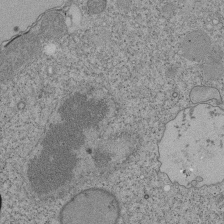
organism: Tetrahymena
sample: Cilia in tetrahymena